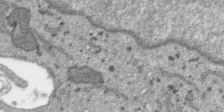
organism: Human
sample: Lung epithelial cells infected with SARS-CoV-2